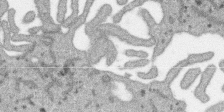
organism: Human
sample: Lung epithelial cells infected with SARS-CoV-2